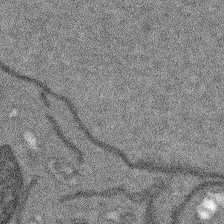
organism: Arabidopsis thaliana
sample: Root tip